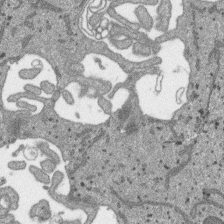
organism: Human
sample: Lung epithelial cells infected with SARS-CoV-2